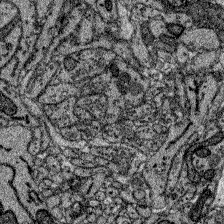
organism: Zebrafish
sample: Larval olfactory bulb